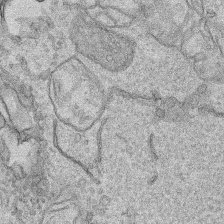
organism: Human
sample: Mitochondria in HCT116 cells